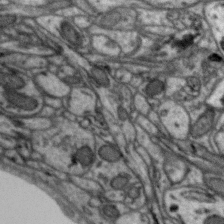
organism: Zebra finch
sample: Brain